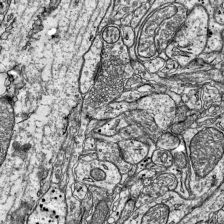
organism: Mouse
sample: Visual Cortex